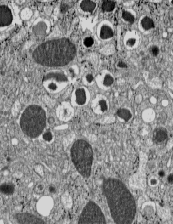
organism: C57BL Mouse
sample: Pancreatic islet